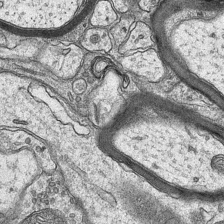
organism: Mouse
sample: CA1 Hippocampus